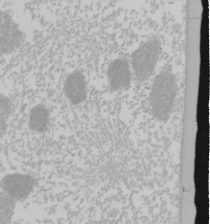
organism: Mouse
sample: Cancer cell death in ED-1 cells